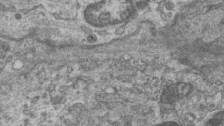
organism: Mouse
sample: Centriole in ependymal cells